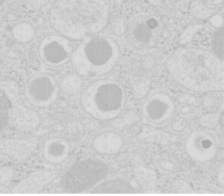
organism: Mouse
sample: Pancreas